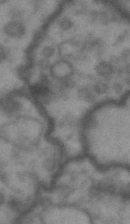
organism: Drosophila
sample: Brain